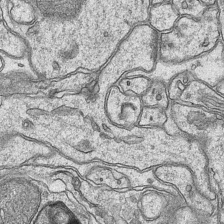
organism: Mouse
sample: CA1 Hippocampus